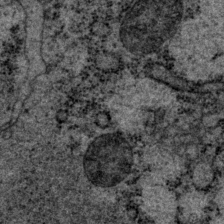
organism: P. pacificus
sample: Pharynx